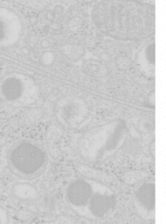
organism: Mouse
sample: Pancreas